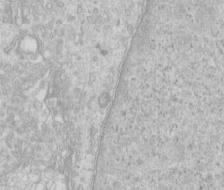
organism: Human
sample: Centriole in RPE cells